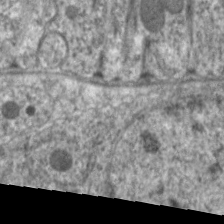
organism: C. elegans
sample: Pharynx